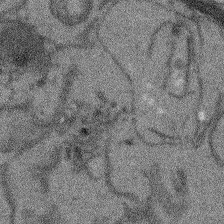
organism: Arabidopsis thaliana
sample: Root tip